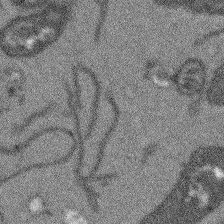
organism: Arabidopsis thaliana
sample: Root tip